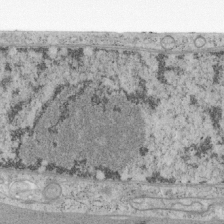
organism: Human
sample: HeLa cells